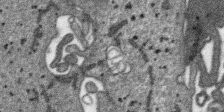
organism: Human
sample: Lung epithelial cells infected with SARS-CoV-2